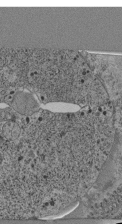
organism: C. elegans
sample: C. elegans pharynx